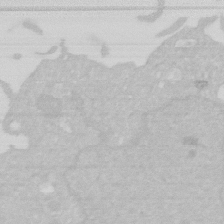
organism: Human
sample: HIV infected U937 cells